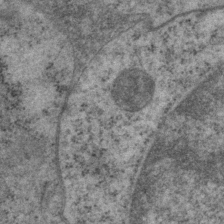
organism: P. pacificus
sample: Pharynx